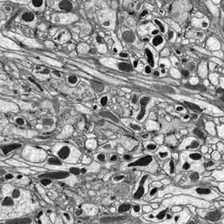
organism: Drosophila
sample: Optic lobe